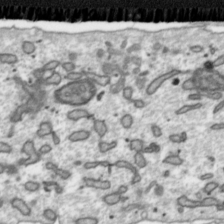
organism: Toxoplasma gondii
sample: Parasites in a vacuole inside a host cell